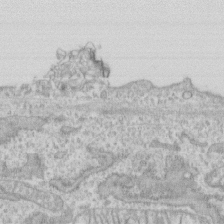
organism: Human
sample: CRL-1474